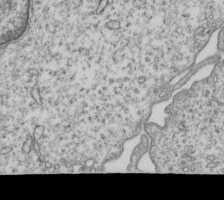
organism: Human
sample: MDA-MB-231 cells